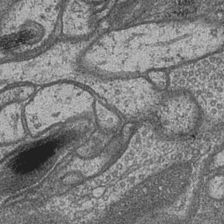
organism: Drosophila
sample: Optic medulla